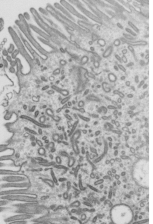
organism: Mouse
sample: Mouse epididymis efferent ductule cilia